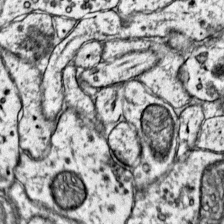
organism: Mouse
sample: Primary visual cortex